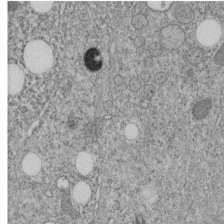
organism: C. elegans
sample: C. elegans embryo early stage